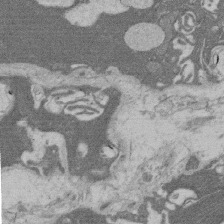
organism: Rat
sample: Salivary granule